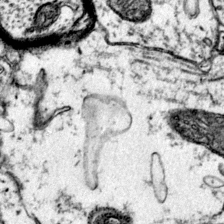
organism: Mouse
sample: Primary visual cortex